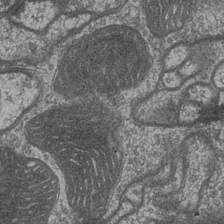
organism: Drosophila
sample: Optic medulla